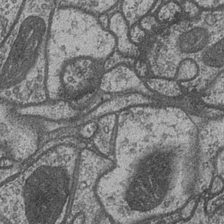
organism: Drosophila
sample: Optic medulla